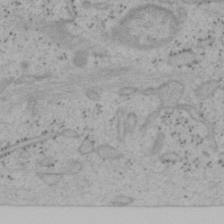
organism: Human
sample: HeLa cells